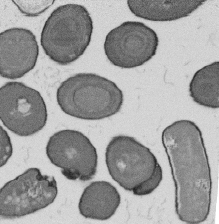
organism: B. subtilis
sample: Bacterial spore